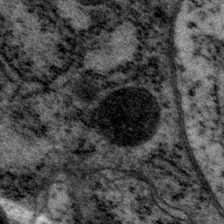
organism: P. pacificus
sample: Pharynx